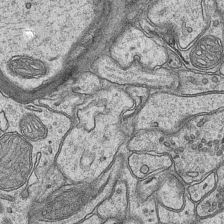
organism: Mouse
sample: CA1 Hippocampus